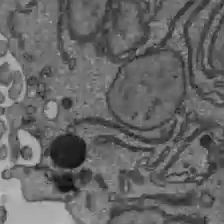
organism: C57BL Mouse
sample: Liver